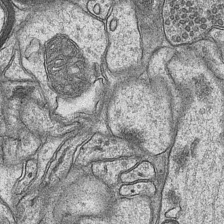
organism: Mouse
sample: CA1 Hippocampus